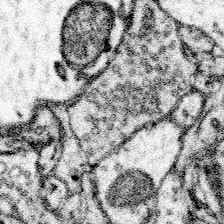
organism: Mouse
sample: Somatosensory cortex neuropil